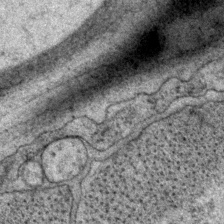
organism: P. pacificus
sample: Pharynx